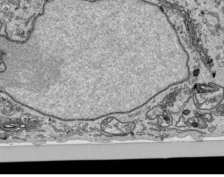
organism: Human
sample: Mitochondria in HCT116 cells